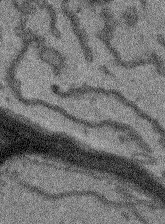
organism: Arabidopsis thaliana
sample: Root tip